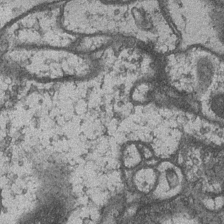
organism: Drosophila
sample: Optic medulla